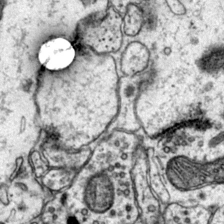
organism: Mouse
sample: Primary visual cortex